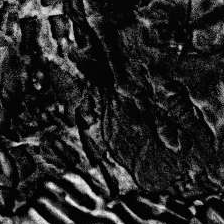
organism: Human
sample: Temporal Lobe